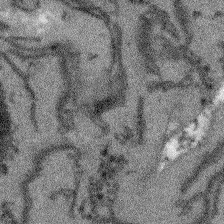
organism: Arabidopsis thaliana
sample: Root tip